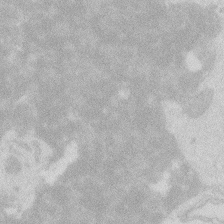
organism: Zebrafish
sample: Macrophage